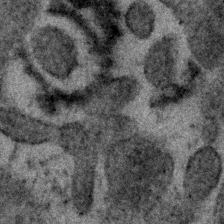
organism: Human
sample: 1205lu cells